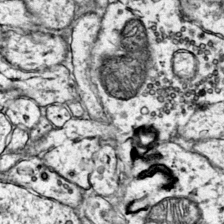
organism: Mouse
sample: Primary visual cortex